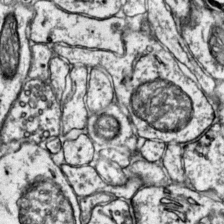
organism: Mouse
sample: Primary visual cortex